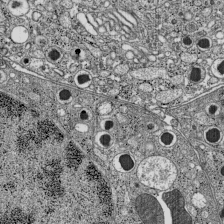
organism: C57BL Mouse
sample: Pancreatic islet